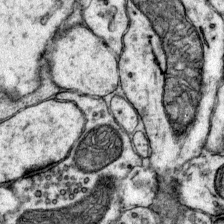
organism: Mouse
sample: Primary visual cortex